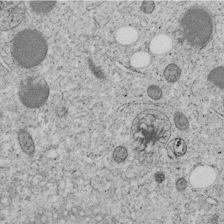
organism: C. elegans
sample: C. elegans embryo early stage